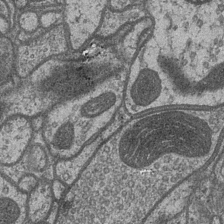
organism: Drosophila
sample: Optic medulla